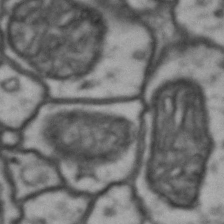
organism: Drosophila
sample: Brain